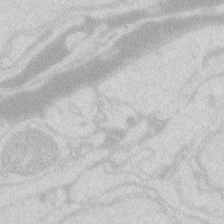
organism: Zebrafish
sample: Macrophage